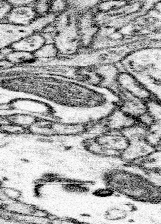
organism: Mouse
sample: Somatosensory cortex neuropil